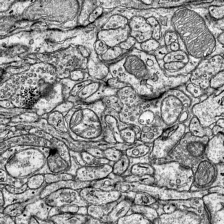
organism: Mouse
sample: Visual Cortex